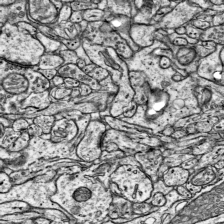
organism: Mouse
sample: Visual Cortex